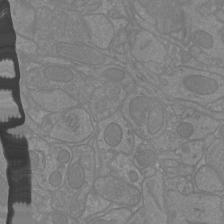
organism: Mouse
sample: Cortical neurons